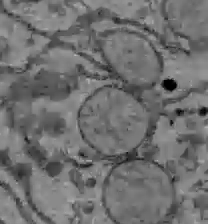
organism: C57BL Mouse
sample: Liver